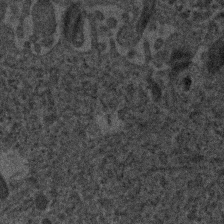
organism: Human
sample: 1205lu cells